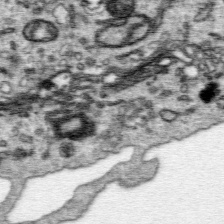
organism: Human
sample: HeLa cells